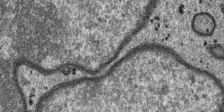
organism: Human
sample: Lung epithelial cells infected with SARS-CoV-2